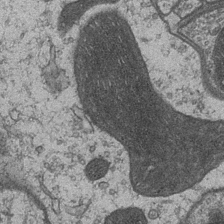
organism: Drosophila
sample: Optic medulla